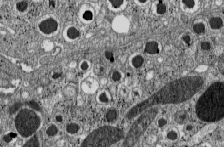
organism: C57BL Mouse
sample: Pancreatic islet